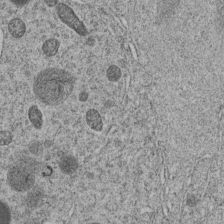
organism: C. elegans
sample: C. elegans embryo early stage